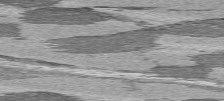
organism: C57BL Mouse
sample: Heart